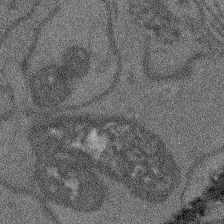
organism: Arabidopsis thaliana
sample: Root tip